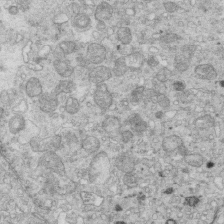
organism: Mouse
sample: Multiciliated cells